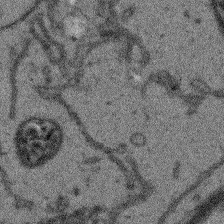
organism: Arabidopsis thaliana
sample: Root tip